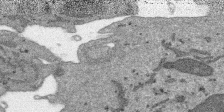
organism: Human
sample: Lung epithelial cells infected with SARS-CoV-2